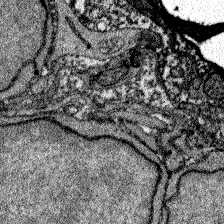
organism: Zebrafish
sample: Larval olfactory bulb